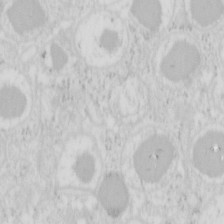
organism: Mouse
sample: Pancreas